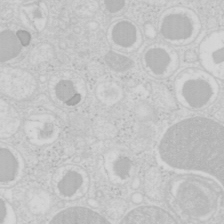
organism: Mouse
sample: Pancreas